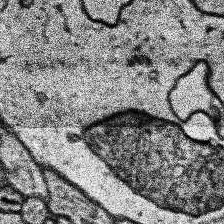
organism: Human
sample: Temporal Lobe